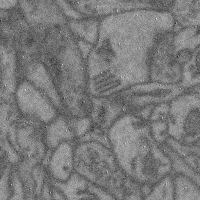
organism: Mouse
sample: Cerebral cortex